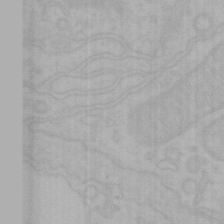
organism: Mouse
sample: Choroid plexus